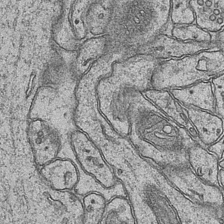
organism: Mouse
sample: CA1 Hippocampus